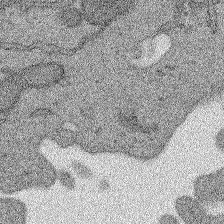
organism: Human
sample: HeLa cells